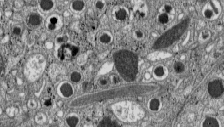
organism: C57BL Mouse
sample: Pancreatic islet